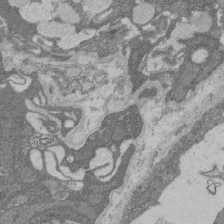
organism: Rat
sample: Salivary granule